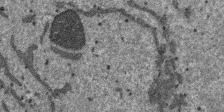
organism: Human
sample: Lung epithelial cells infected with SARS-CoV-2